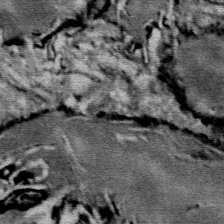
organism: Mouse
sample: Mouse Salivary gland